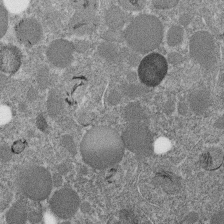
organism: C. elegans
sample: C. elegans embryo early stage